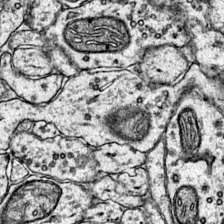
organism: Mouse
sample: Primary visual cortex